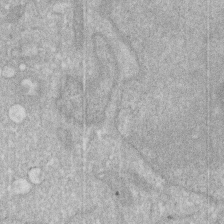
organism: Human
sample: HIV infected U937 cells